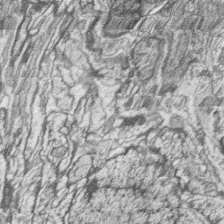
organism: Zebrafish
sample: synaptic ribbons in rod cells and cone cells